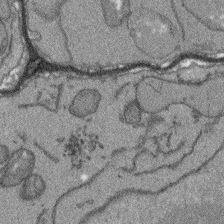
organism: Arabidopsis thaliana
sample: Root tip